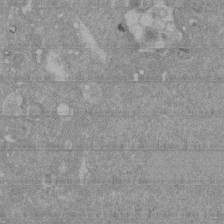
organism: Mouse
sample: ED-1 cell nuclei; centrioles